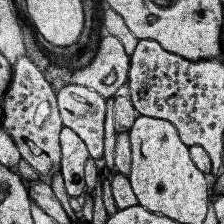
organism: Human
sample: Temporal Lobe